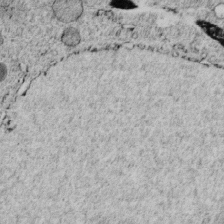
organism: C. elegans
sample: C. elegans embryo early stage